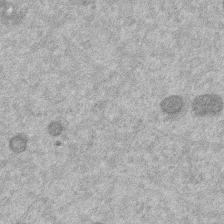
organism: Mouse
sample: Dividing mouse embryo 1 cell stage